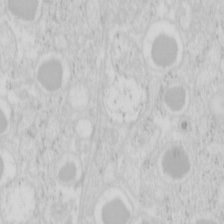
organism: Mouse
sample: Pancreas